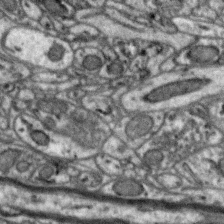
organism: Zebra finch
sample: Brain